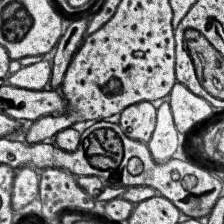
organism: Human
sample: Temporal Lobe